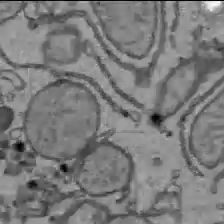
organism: C57BL Mouse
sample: Liver